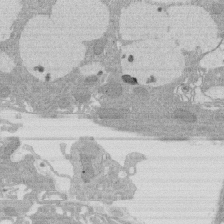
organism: Rat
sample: Salivary granule